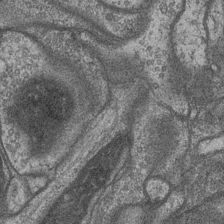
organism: Drosophila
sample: Optic medulla